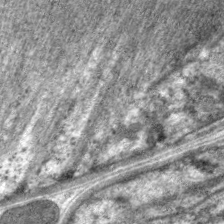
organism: C. elegans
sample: Pharynx